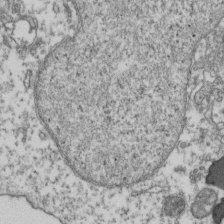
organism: Human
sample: Activated Jurkat CD4+ T cells